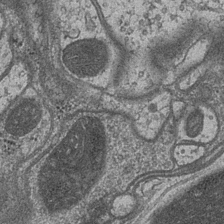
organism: Drosophila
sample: Optic medulla